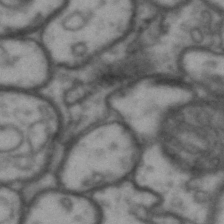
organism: Drosophila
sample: Brain